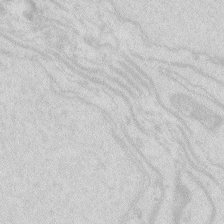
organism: Zebrafish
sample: Macrophage